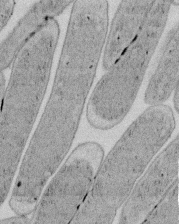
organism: E. coli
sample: Bacterial nucleoid